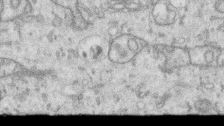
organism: Human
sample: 1205lu cells